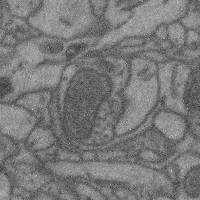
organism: Mouse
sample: Cerebral cortex